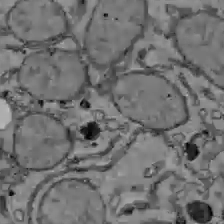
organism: C57BL Mouse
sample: Liver